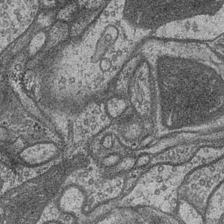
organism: Drosophila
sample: Optic medulla